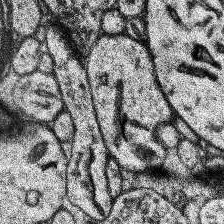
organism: Human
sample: Temporal Lobe